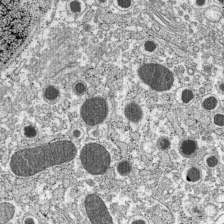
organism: C57BL Mouse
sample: Pancreatic islet